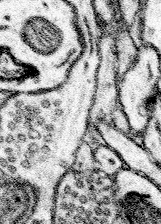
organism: Mouse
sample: Somatosensory cortex neuropil